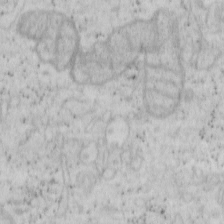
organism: Human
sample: HeLa cells